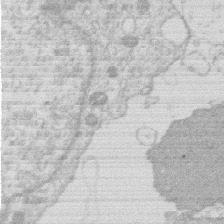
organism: Human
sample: Macrophage cells